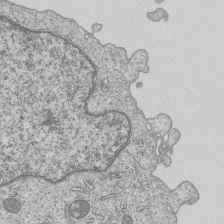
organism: Human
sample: MDA-MB-231 cells